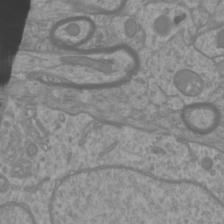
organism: Mouse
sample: Cortical neurons